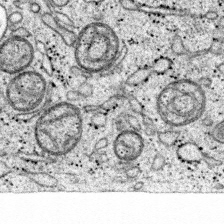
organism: Human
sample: HeLa cells